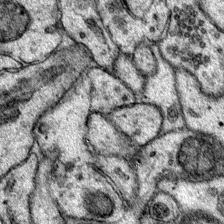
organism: Mouse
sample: Primary visual cortex